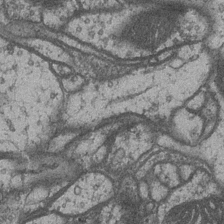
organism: Drosophila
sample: Optic medulla